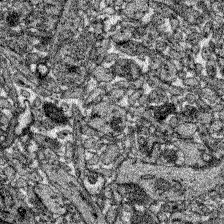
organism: Zebrafish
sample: Larval olfactory bulb